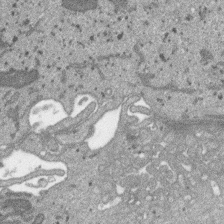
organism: Human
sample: Lung epithelial cells infected with SARS-CoV-2